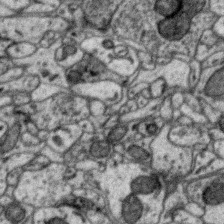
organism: Zebra finch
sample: Brain